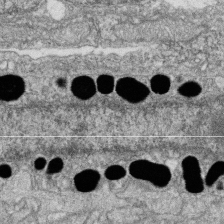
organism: Zebrafish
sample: Cilia; retinal pigment epithelium